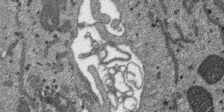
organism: Human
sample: Lung epithelial cells infected with SARS-CoV-2